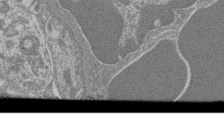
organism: Mouse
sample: Glomerulus